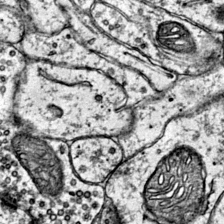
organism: Mouse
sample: Primary visual cortex